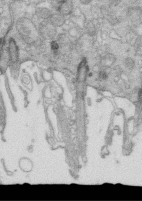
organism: Mouse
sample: Multiciliated cells